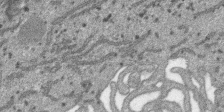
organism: Human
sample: Lung epithelial cells infected with SARS-CoV-2